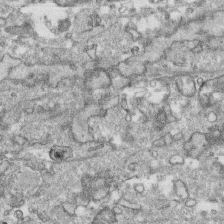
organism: Human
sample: CRL-1474